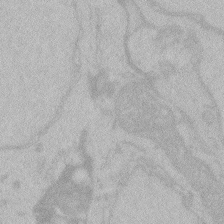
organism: Zebrafish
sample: Macrophage infected with Toxoplasma gondii